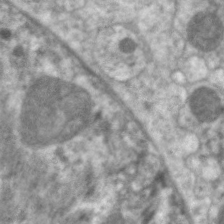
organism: C. elegans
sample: Pharynx